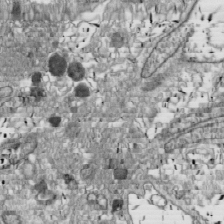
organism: Drosophila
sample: Cell division; meiosis; drosophila spermatocytes